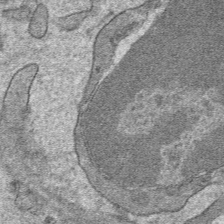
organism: Mouse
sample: Mouse hepatocytes